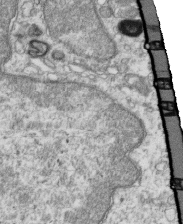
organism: Mouse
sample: Activated OT-1 CD8+ T cells